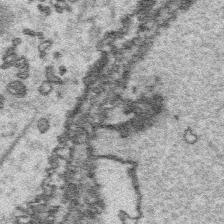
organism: Platynereis dumerilii